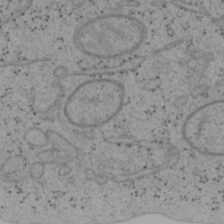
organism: Human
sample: HeLa cells